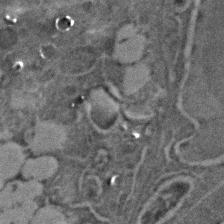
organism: C. elegans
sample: C. elegans embryo